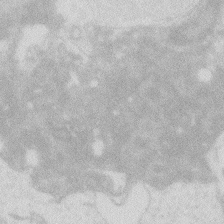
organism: Zebrafish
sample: Macrophage